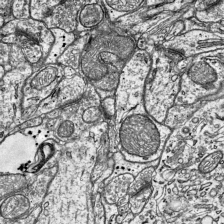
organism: Mouse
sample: Visual Cortex